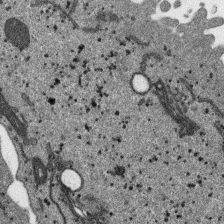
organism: Human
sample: Lung epithelial cells infected with SARS-CoV-2